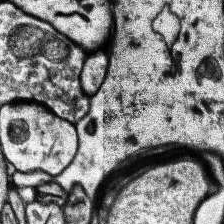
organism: Human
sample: Temporal Lobe